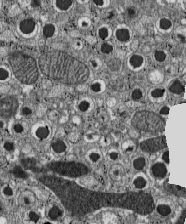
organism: C57BL Mouse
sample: Pancreatic islet